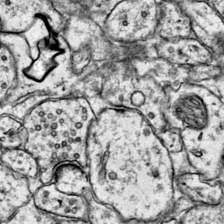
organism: Mouse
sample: Primary visual cortex